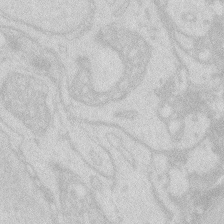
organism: Zebrafish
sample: Macrophage